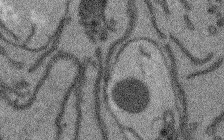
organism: Arabidopsis thaliana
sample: Root tip